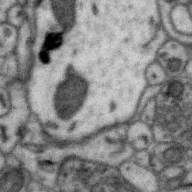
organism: Zebra finch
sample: Brain